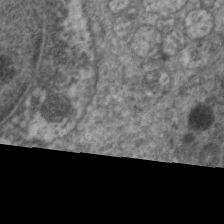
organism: C. elegans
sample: Pharynx